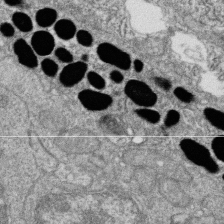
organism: Zebrafish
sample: Cilia; retinal pigment epithelium